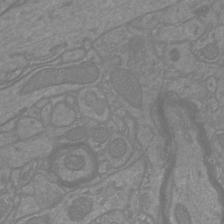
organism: Mouse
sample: Cortical neurons